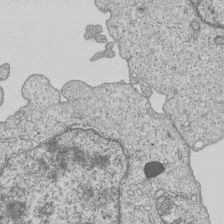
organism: Human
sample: MDA-MB-231 cells